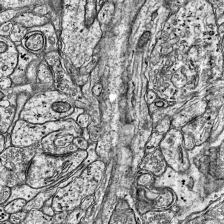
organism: Mouse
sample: Visual Cortex